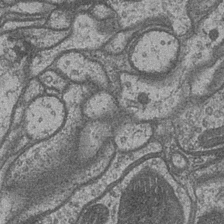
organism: Drosophila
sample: Optic medulla